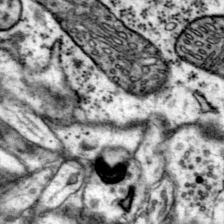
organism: Mouse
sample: Primary visual cortex